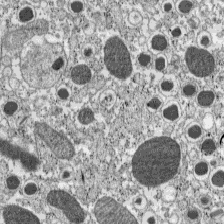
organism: C57BL Mouse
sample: Pancreatic islet